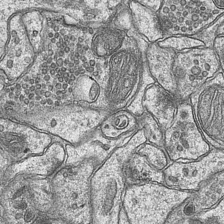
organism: Mouse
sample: CA1 Hippocampus